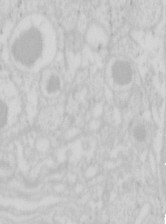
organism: Mouse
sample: Pancreas